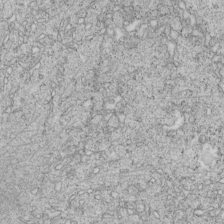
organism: C. elegans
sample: C. elegans embryo early stage